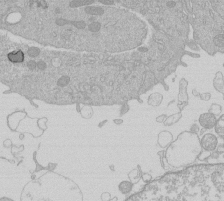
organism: Human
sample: Macrophage cells